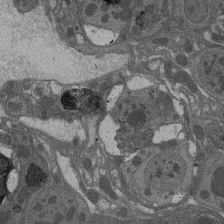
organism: Drosophila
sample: Antenna